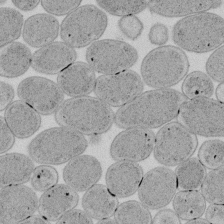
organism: E. coli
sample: Bacterial nucleoid